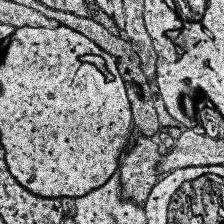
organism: Human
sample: Temporal Lobe